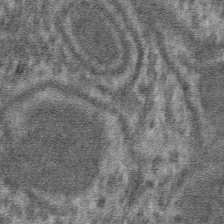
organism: Mouse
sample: Mouse hepatocytes